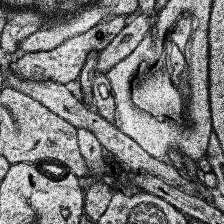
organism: Human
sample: Temporal Lobe